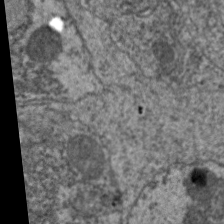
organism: C. elegans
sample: Pharynx